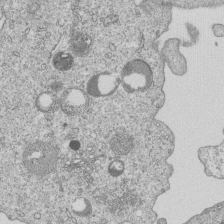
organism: Human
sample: MDA-MB-231 cells